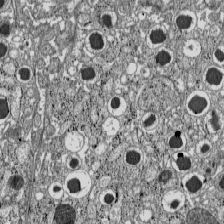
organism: C57BL Mouse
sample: Pancreatic islet